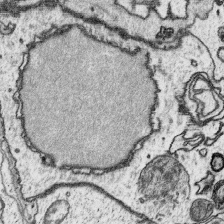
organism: Platynereis dumerilii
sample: Parapodia